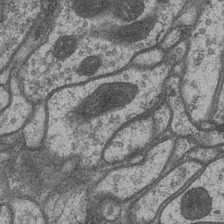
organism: Drosophila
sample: Optic medulla